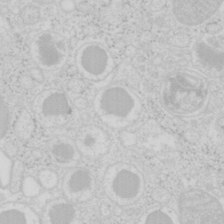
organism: Mouse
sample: Pancreas